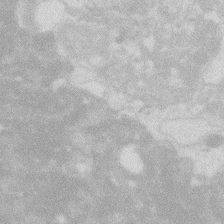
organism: Zebrafish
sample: Macrophage